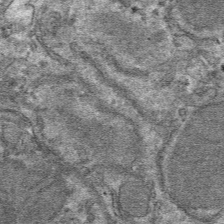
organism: Mouse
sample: Mouse hepatocytes